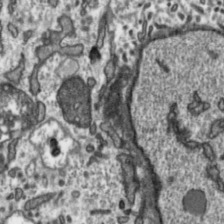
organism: Toxoplasma gondii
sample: Parasites in a vacuole inside a host cell